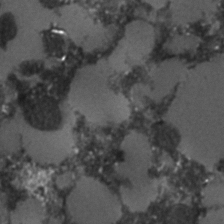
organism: C. elegans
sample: C. elegans embryo